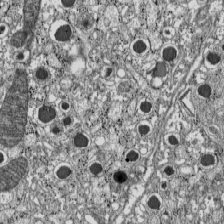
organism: C57BL Mouse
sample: Pancreatic islet